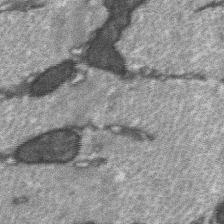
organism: C57BL Mouse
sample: Soleus